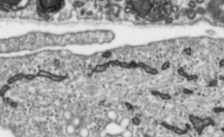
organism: Toxoplasma gondii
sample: Parasites in a vacuole inside a host cell